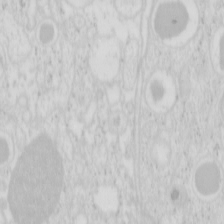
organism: Mouse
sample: Pancreas